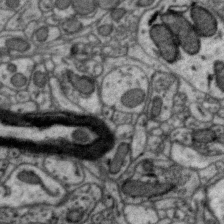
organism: Zebra finch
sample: Brain